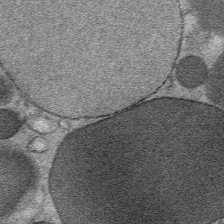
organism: Mouse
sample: Mouse Salivary gland